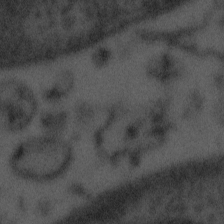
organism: Tuwongella immobilis